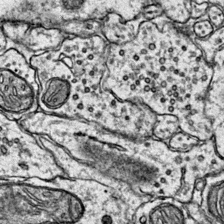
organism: Mouse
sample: Primary visual cortex